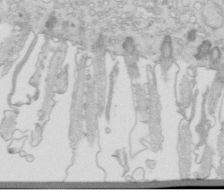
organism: Mouse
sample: Multiciliated cells